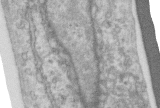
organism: Human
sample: Centriole in RPE cells